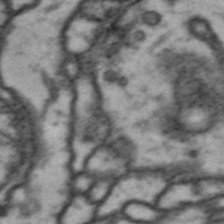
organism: Drosophila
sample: Brain